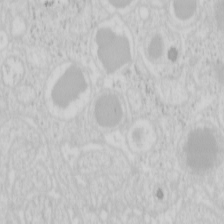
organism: Mouse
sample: Pancreas